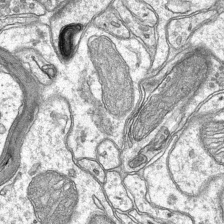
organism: Mouse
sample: CA1 Hippocampus